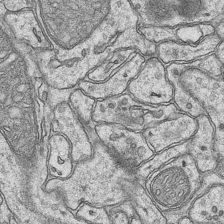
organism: Mouse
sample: CA1 Hippocampus